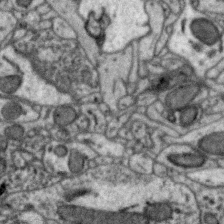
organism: Zebra finch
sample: Brain